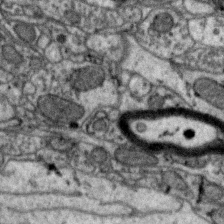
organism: Zebra finch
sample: Brain